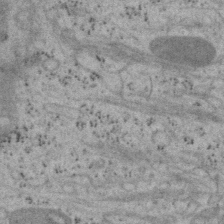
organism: Human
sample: HeLa cells